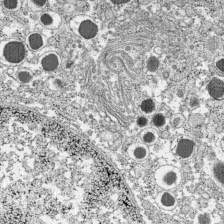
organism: C57BL Mouse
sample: Pancreatic islet